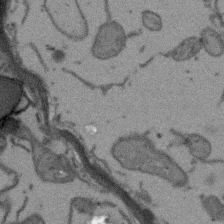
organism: Arabidopsis thaliana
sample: Root tip